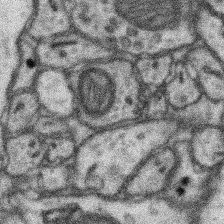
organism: Mouse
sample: Somatosensory cortex neuropil